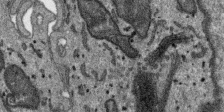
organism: Human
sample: Lung epithelial cells, uninfected (mock) control